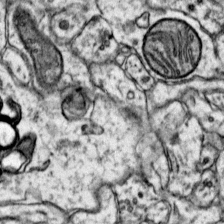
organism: Mouse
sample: Primary visual cortex